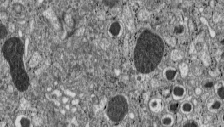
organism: C57BL Mouse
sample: Pancreatic islet